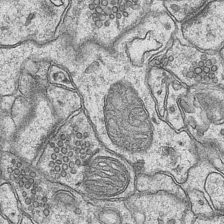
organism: Mouse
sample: CA1 Hippocampus